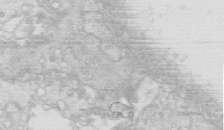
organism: Mouse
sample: Multiciliated cells